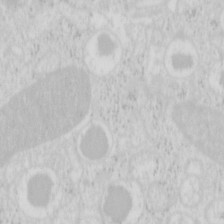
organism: Mouse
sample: Pancreas